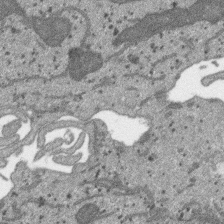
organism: Human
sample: Lung epithelial cells infected with SARS-CoV-2